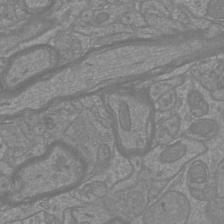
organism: Mouse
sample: Cortical neurons